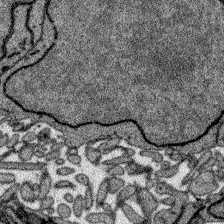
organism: Zebrafish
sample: Larval olfactory bulb